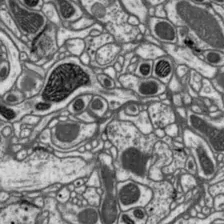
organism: Drosophila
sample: Protocerebral bridge